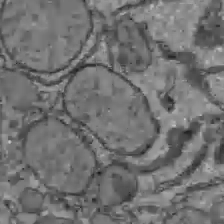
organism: C57BL Mouse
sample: Liver